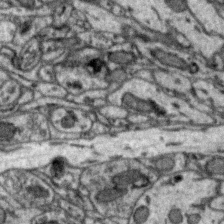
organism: Zebra finch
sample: Brain